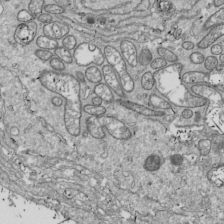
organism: Drosophila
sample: Cell division; meiosis; drosophila spermatocytes